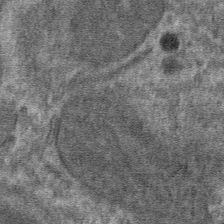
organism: Mouse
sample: Mouse hepatocytes